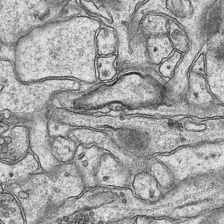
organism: Mouse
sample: CA1 Hippocampus